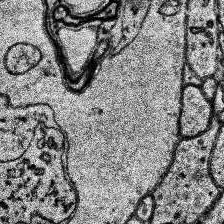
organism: Human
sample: Temporal Lobe